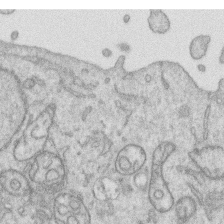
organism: Human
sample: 1205lu cells